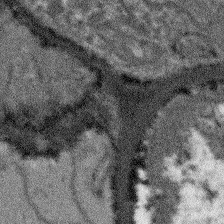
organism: Arabidopsis thaliana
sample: Root tip